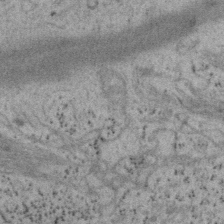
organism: Human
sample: HeLa cells